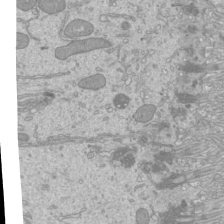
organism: Mouse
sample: Cilia; mouse epididymis